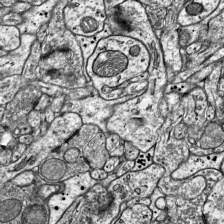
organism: Mouse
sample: Visual Cortex